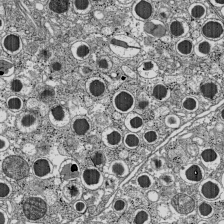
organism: C57BL Mouse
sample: Pancreatic islet